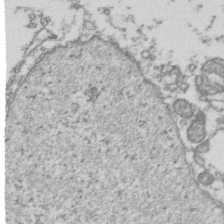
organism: Human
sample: Activated Jurkat CD4+ T cells